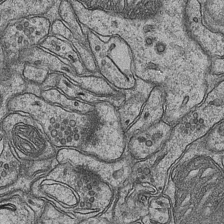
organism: Mouse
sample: CA1 Hippocampus